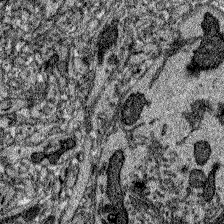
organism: Zebrafish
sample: Larval olfactory bulb